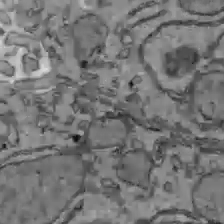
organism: C57BL Mouse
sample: Liver